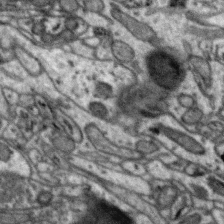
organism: Zebra finch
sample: Brain